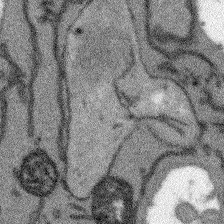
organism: Arabidopsis thaliana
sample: Root tip